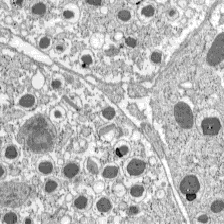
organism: C57BL Mouse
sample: Pancreatic islet